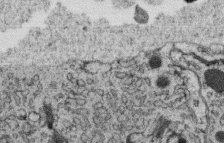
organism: C. elegans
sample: C. elegans oocyte; sperm cells